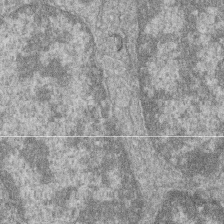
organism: Zebrafish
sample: Cilia; retinal pigment epithelium